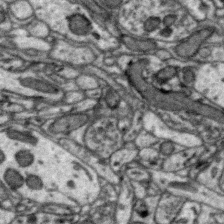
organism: Zebra finch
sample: Brain